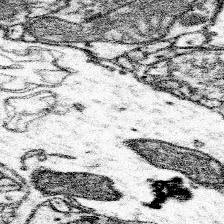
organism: Mouse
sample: Somatosensory cortex neuropil